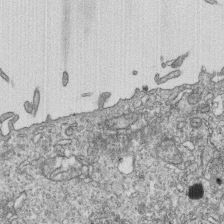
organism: Human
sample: HeLa cell HIV synapse